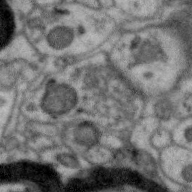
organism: Zebra finch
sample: Brain